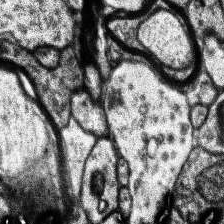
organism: Human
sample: Temporal Lobe